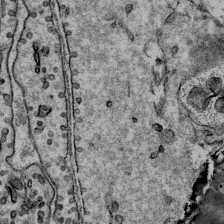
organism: Mouse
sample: Mouse Salivary gland